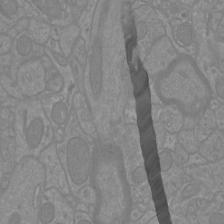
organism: Mouse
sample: Cortical neurons